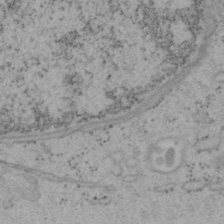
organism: Human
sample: HeLa cells